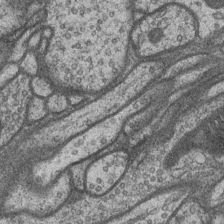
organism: Drosophila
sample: Optic medulla